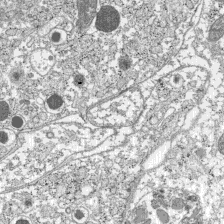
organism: C57BL Mouse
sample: Pancreatic islet